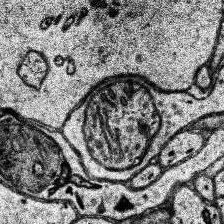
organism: Human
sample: Temporal Lobe